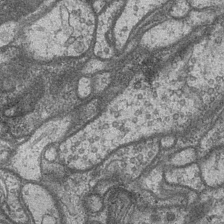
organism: Drosophila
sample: Optic medulla